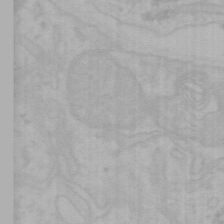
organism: Mouse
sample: Choroid plexus